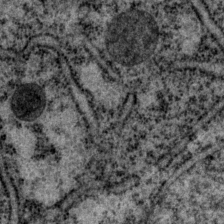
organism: P. pacificus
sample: Pharynx